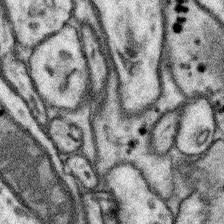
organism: Mouse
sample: Somatosensory cortex neuropil